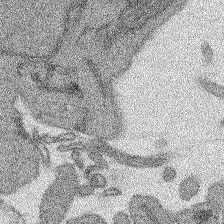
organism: Human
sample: HeLa cells